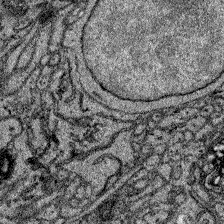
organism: Zebrafish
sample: Larval olfactory bulb